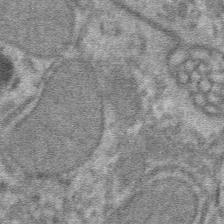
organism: Mouse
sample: Mouse hepatocytes